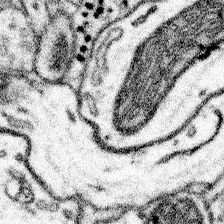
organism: Mouse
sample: Somatosensory cortex neuropil